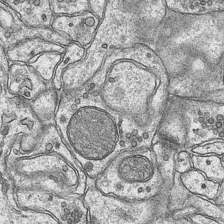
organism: Mouse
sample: CA1 Hippocampus